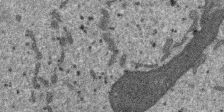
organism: Human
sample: Lung epithelial cells infected with SARS-CoV-2